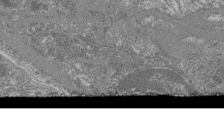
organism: Mouse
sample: Glomerulus